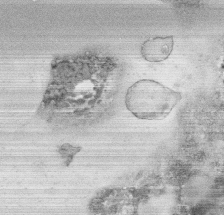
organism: Human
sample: CRL-1474